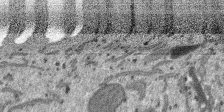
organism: Human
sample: Lung epithelial cells infected with SARS-CoV-2